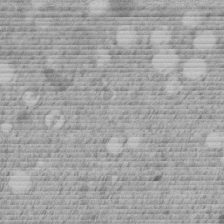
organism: C. elegans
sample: C. elegans embryo early stage